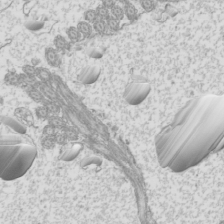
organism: Mouse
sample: Cilia; mouse epididymis